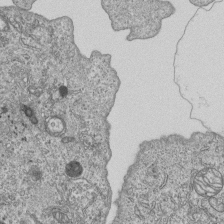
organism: Human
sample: MDA-MB-231 cells